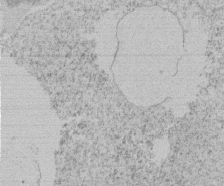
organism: Tetrahymena